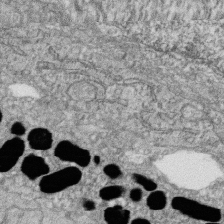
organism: Zebrafish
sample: Cilia; retinal pigment epithelium